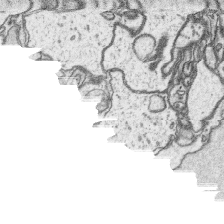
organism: Platynereis dumerilii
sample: Parapodia